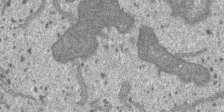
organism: Human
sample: Lung epithelial cells infected with SARS-CoV-2